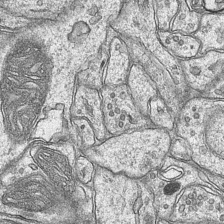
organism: Mouse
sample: CA1 Hippocampus